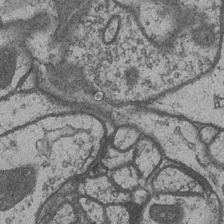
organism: Drosophila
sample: Optic medulla